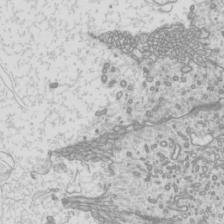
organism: Mouse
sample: Cilia; mouse epididymis